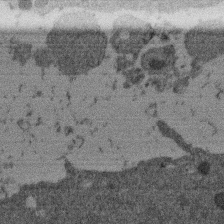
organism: Mouse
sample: Dividing mouse embryo 1 cell stage